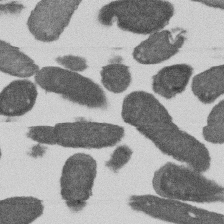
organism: E. coli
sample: Bacterial nucleoid